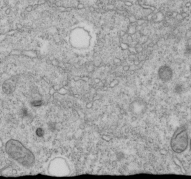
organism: C. elegans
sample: C. elegans embryo early stage